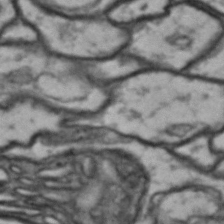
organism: Drosophila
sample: Brain